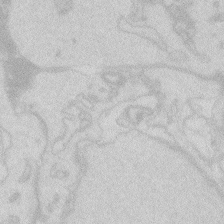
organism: Zebrafish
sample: Macrophage